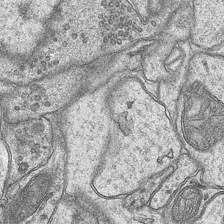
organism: Mouse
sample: CA1 Hippocampus